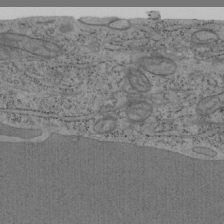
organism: Human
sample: HeLa cells